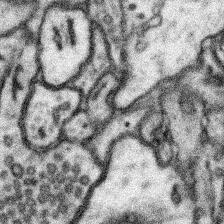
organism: Mouse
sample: Somatosensory cortex neuropil